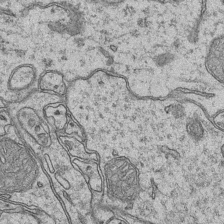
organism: Mouse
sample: CA1 Hippocampus